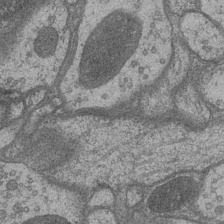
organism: Drosophila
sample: Optic medulla